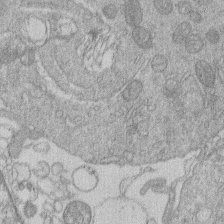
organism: Human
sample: Macrophage cells